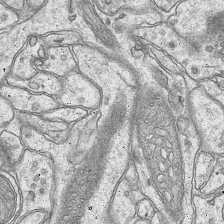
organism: Mouse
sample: CA1 Hippocampus